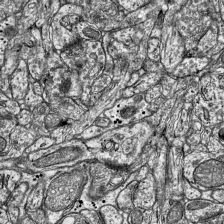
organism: Mouse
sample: Visual Cortex